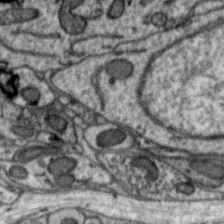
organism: Zebra finch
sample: Brain